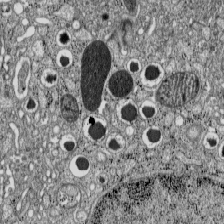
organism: C57BL Mouse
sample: Pancreatic islet